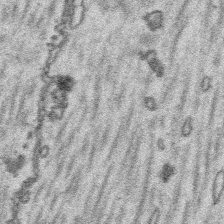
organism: Platynereis dumerilii